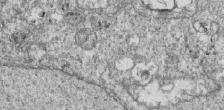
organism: Human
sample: HeLa cell HIV synapse